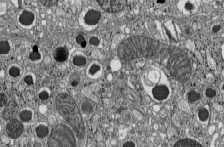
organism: C57BL Mouse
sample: Pancreatic islet